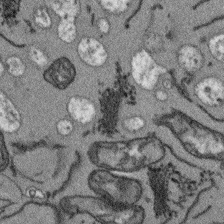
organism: Arabidopsis thaliana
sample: Root tip